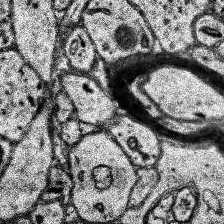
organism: Human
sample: Temporal Lobe